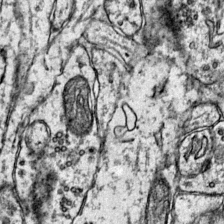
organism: Mouse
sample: Primary visual cortex